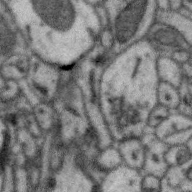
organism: Zebra finch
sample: Brain